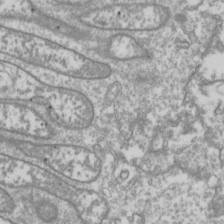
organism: Drosophila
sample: Cell division; meiosis; drosophila spermatocytes